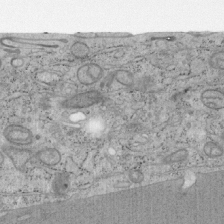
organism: Human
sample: HeLa cells